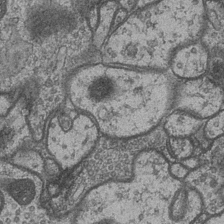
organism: Drosophila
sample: Optic medulla